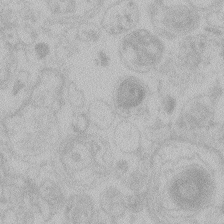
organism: Zebrafish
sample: Macrophage infected with Toxoplasma gondii